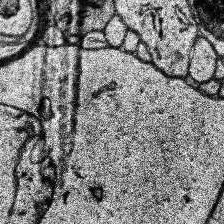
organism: Human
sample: Temporal Lobe